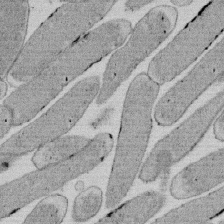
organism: E. coli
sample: Bacterial nucleoid